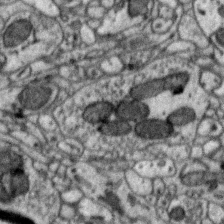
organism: Zebra finch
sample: Brain